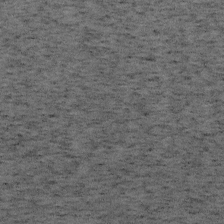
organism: Mouse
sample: OT-I killer T cells with ID8 ovarian cancer cells